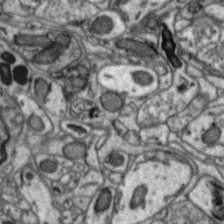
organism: Zebra finch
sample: Brain